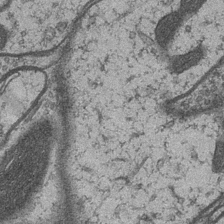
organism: Drosophila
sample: Optic medulla